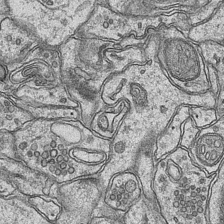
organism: Mouse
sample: CA1 Hippocampus